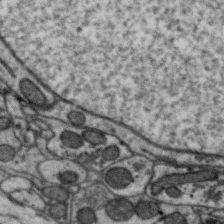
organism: Zebra finch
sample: Brain